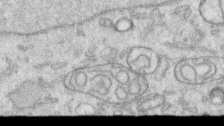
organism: Human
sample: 1205lu cells